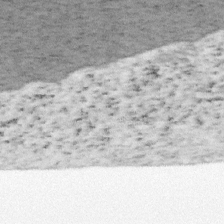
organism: Mouse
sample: OT-I killer T cells with ID8 ovarian cancer cells